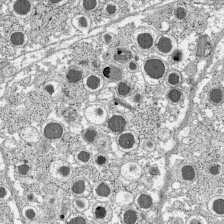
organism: C57BL Mouse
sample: Pancreatic islet